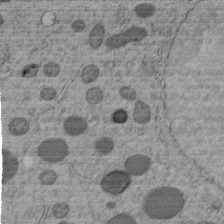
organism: C. elegans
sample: C. elegans embryo early stage